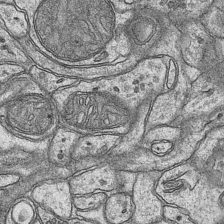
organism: Mouse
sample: CA1 Hippocampus